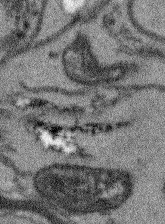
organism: Arabidopsis thaliana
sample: Root tip